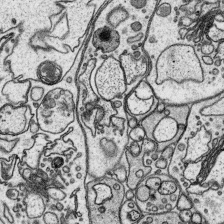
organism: Platynereis dumerilii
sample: Parapodia